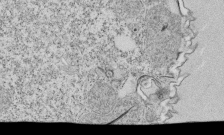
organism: Tetrahymena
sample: Cilia in tetrahymena